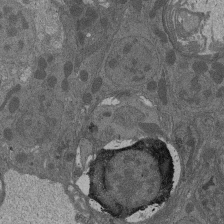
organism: Drosophila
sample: Antenna